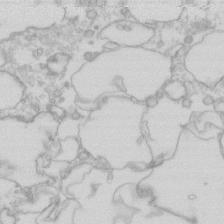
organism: Human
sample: Fibroblast cells